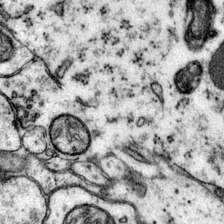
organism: Mouse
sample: Primary visual cortex